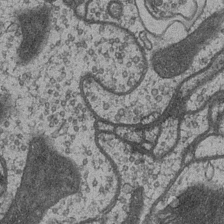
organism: Drosophila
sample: Optic medulla